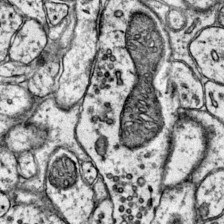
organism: Mouse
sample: Primary visual cortex